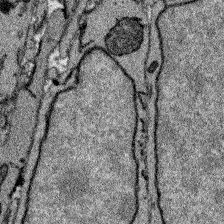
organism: Zebrafish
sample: Larval olfactory bulb